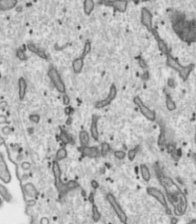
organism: Toxoplasma gondii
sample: Parasites in a vacuole inside a host cell